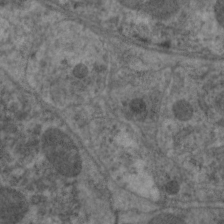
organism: C. elegans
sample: Pharynx